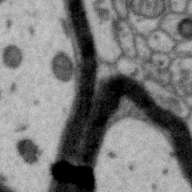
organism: Zebra finch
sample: Brain